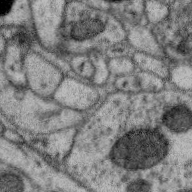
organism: Zebra finch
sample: Brain